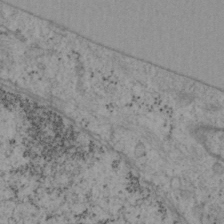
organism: Human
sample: HeLa cells